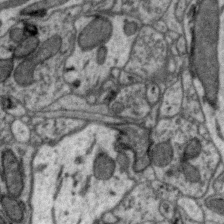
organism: Zebra finch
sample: Brain